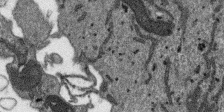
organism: Human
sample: Lung epithelial cells infected with SARS-CoV-2